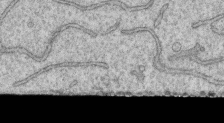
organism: Human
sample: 1205lu cells